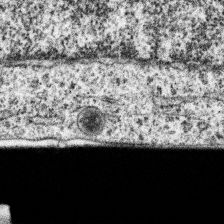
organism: Human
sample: HeLa cells